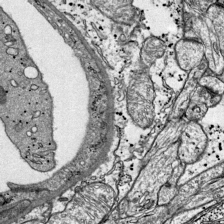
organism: Mouse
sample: Visual Cortex